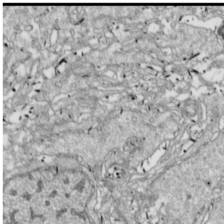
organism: Drosophila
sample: Cell division; meiosis; drosophila spermatocytes